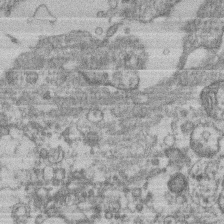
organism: Mouse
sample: T cell stromal cell synapse